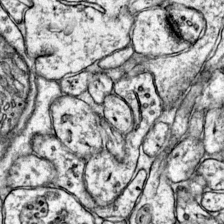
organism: Mouse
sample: Primary visual cortex